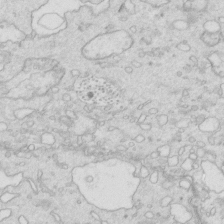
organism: Mouse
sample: Multiciliated cells